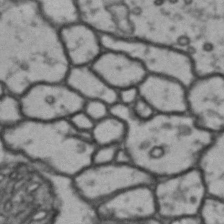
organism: Drosophila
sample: Brain